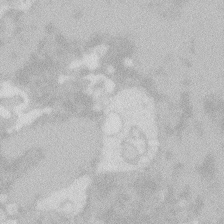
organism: Zebrafish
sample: Macrophage